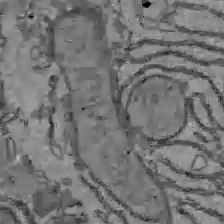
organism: C57BL Mouse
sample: Liver